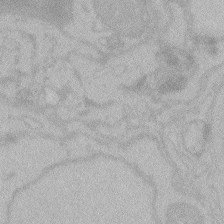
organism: Zebrafish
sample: Macrophage infected with Toxoplasma gondii